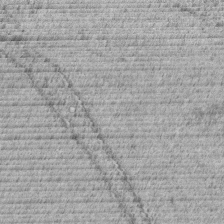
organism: C. elegans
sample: C. elegans embryo early stage